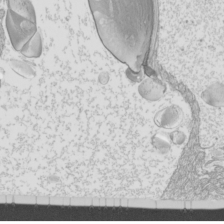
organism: Mouse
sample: Cilia; mouse epididymis